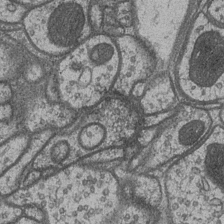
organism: Drosophila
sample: Optic medulla